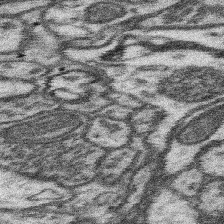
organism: Mouse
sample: Somatosensory cortex neuropil